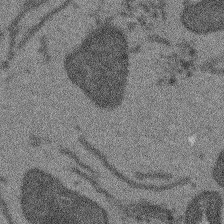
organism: Arabidopsis thaliana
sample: Root tip